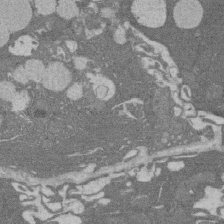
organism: Rat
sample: Salivary granule